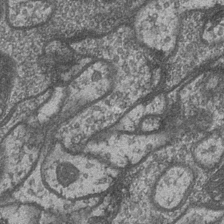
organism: Drosophila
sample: Optic medulla